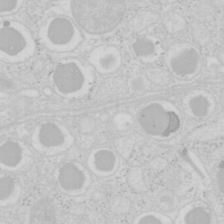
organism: Mouse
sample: Pancreas